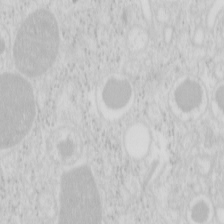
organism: Mouse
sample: Pancreas